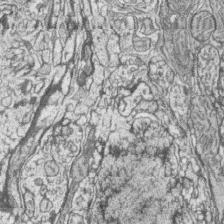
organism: Zebrafish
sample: synaptic ribbons in rod cells and cone cells